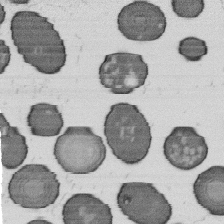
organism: B. subtilis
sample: Bacterial spore